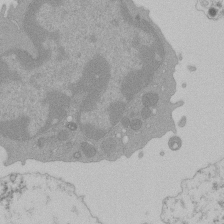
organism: Mouse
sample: Activated Pmel transgenic CD8+ T Cells